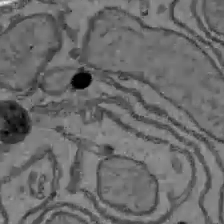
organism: C57BL Mouse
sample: Liver